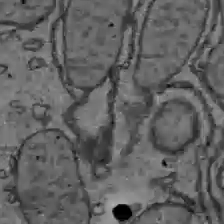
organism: C57BL Mouse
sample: Liver